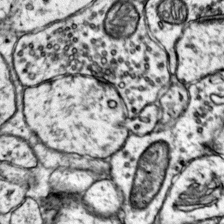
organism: Mouse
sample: Primary visual cortex